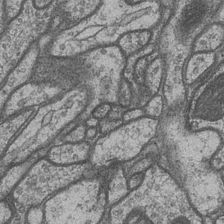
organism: Drosophila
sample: Optic medulla